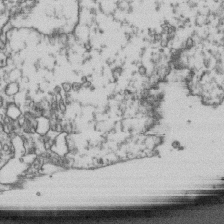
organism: Human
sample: Activated Jurkat CD4+ T cells